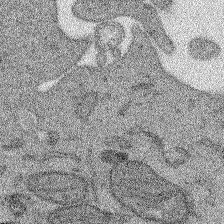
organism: Human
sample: HeLa cells